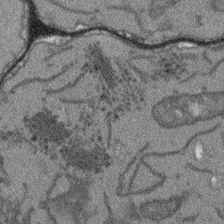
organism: Arabidopsis thaliana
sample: Root tip